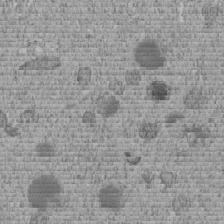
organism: C. elegans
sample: C. elegans embryo early stage